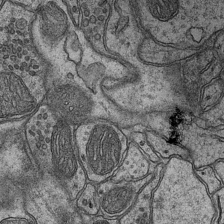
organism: Mouse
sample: CA1 Hippocampus